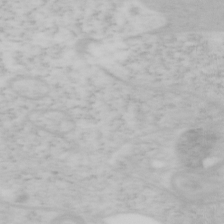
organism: Mouse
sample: OT-I killer T cells with ID8 ovarian cancer cells